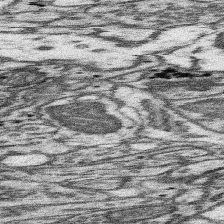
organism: Mouse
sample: Somatosensory cortex neuropil